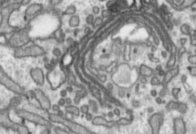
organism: Toxoplasma gondii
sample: Parasites in a vacuole inside a host cell